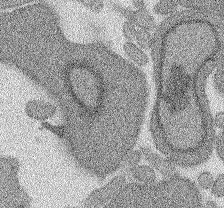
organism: Human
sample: HeLa cells